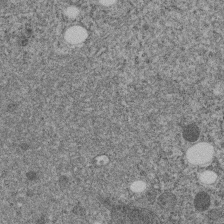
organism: C. elegans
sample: C. elegans embryo early stage